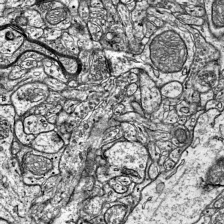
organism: Mouse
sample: Visual Cortex